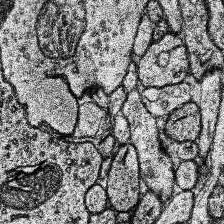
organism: Human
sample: Temporal Lobe